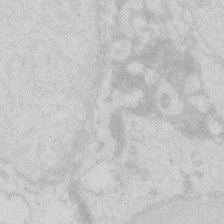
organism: Zebrafish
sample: Macrophage